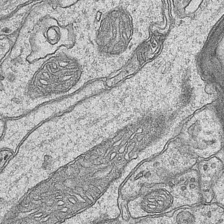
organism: Mouse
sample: CA1 Hippocampus